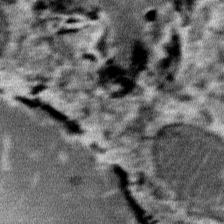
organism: Mouse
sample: Mouse Salivary gland